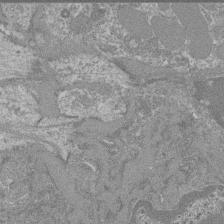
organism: Mouse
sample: Glomerulus